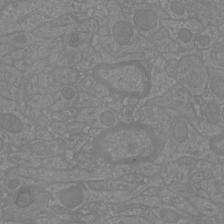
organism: Mouse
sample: Cortical neurons